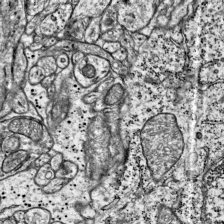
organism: Mouse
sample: Visual Cortex